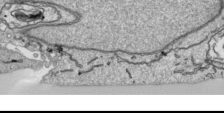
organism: Human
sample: Mitochondria in HCT116 cells